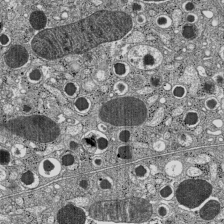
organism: C57BL Mouse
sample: Pancreatic islet